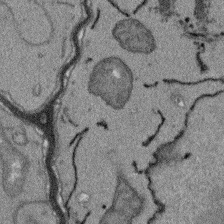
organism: Arabidopsis thaliana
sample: Root tip